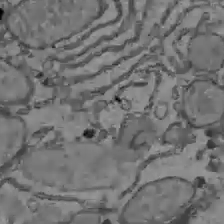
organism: C57BL Mouse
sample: Liver